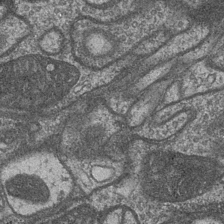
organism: Drosophila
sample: Optic medulla